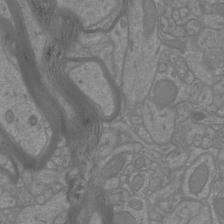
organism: Mouse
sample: Cortical neurons